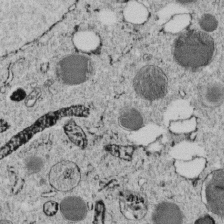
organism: C. elegans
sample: C. elegans embryo early stage